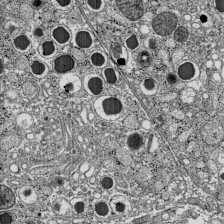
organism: C57BL Mouse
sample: Pancreatic islet